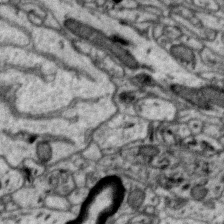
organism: Zebra finch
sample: Brain